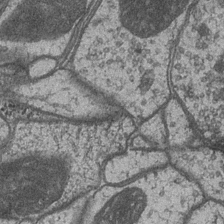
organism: Drosophila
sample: Optic medulla